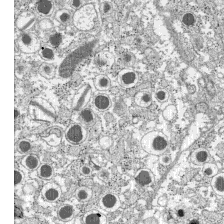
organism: C57BL Mouse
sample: Pancreatic islet